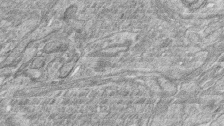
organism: Zebrafish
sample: synaptic ribbons in rod cells and cone cells